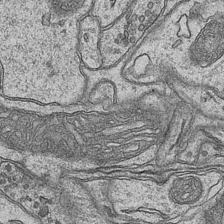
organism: Mouse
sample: CA1 Hippocampus